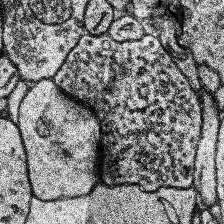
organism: Human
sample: Temporal Lobe